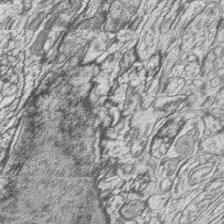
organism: Zebrafish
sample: synaptic ribbons in rod cells and cone cells